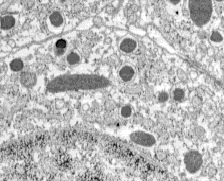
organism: C57BL Mouse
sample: Pancreatic islet